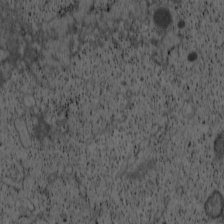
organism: African green monkey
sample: COS-7 cells